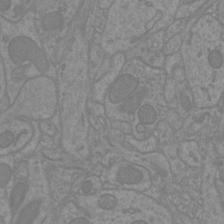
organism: Mouse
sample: Cortical neurons